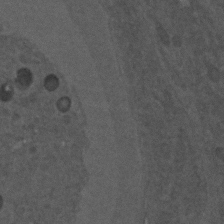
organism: C. elegans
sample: C. elegans embryo